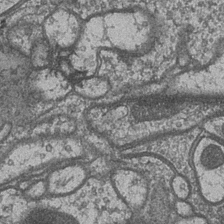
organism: Drosophila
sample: Optic medulla